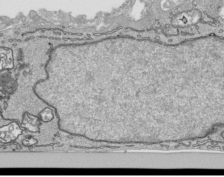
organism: Human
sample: Mitochondria in HCT116 cells